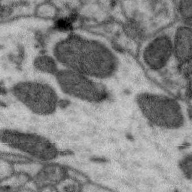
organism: Zebra finch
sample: Brain